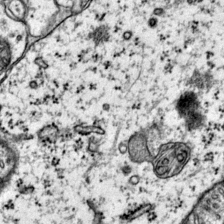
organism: Mouse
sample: Primary visual cortex